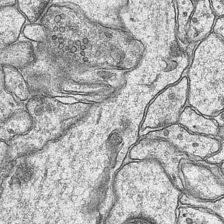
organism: Mouse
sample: CA1 Hippocampus